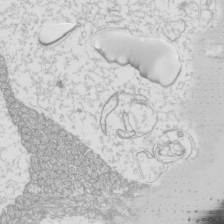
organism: Mouse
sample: Cilia; mouse epididymis